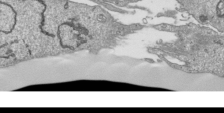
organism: Human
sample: Mitochondria in HCT116 cells